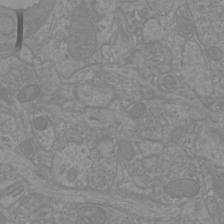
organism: Mouse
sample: Cortical neurons